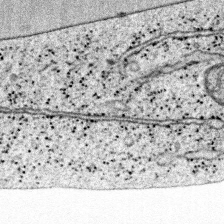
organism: Human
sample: HeLa cells